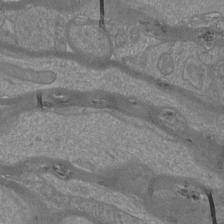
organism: Mouse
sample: Cortical neurons